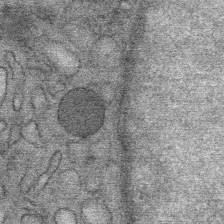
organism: Mouse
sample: Mouse Salivary gland